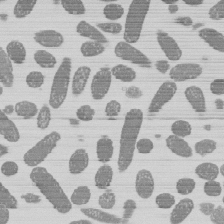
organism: E. coli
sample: Bacterial nucleoid